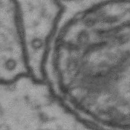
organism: Drosophila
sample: Brain